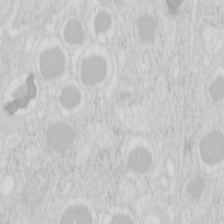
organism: Mouse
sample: Pancreas